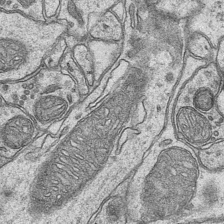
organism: Mouse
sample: CA1 Hippocampus